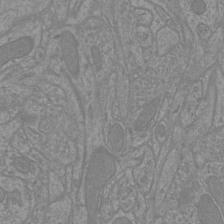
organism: Mouse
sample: Cortical neurons